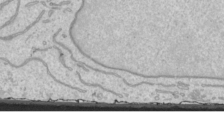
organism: Human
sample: Mitochondria in HCT116 cells